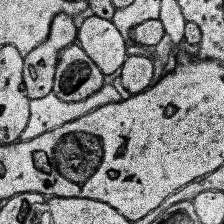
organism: Human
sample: Temporal Lobe